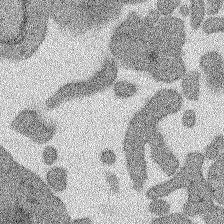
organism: Human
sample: HeLa cells